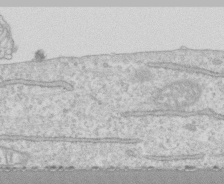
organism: Human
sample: CRL-1474